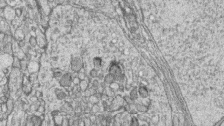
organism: Zebrafish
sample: synaptic ribbons in rod cells and cone cells